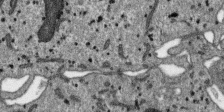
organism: Human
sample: Lung epithelial cells, uninfected (mock) control